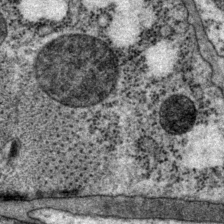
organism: P. pacificus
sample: Pharynx